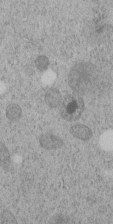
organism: C. elegans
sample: C. elegans embryo early stage